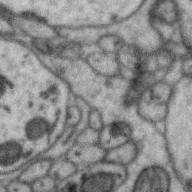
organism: Zebra finch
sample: Brain